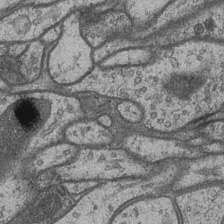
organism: Drosophila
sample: Optic medulla